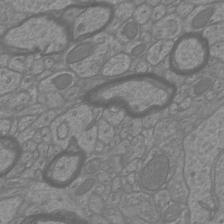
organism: Mouse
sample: Cortical neurons